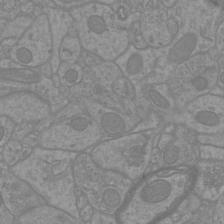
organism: Mouse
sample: Cortical neurons